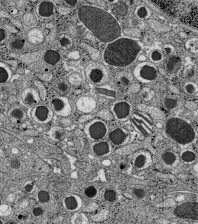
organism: C57BL Mouse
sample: Pancreatic islet